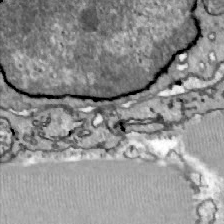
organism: Zebrafish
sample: Actinotrichia fibers